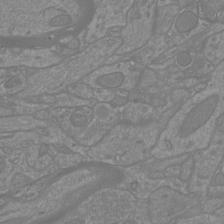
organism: Mouse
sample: Cortical neurons